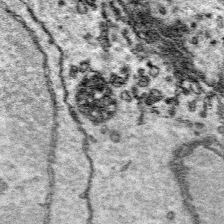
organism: Platynereis dumerilii